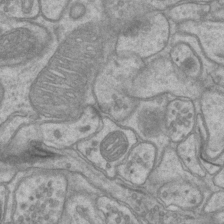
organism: Mouse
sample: CA1 Hippocampus